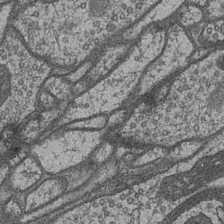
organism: Drosophila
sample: Optic medulla